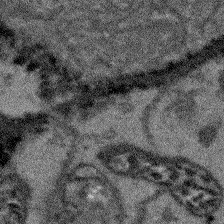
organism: Arabidopsis thaliana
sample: Root tip